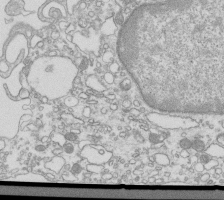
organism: Mouse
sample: Macrophages